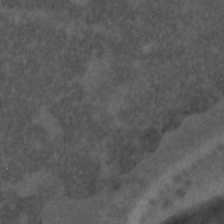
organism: C. elegans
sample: C. elegans embryo